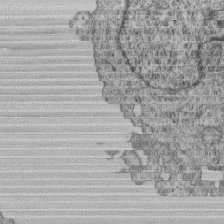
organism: Human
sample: MDA-MB-231 cells